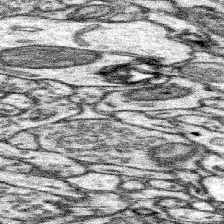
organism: Mouse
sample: Somatosensory cortex neuropil